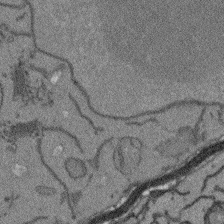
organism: Arabidopsis thaliana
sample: Root tip